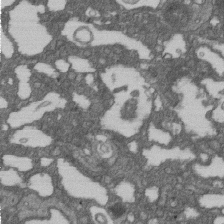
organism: Drosophila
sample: Nephrocyte